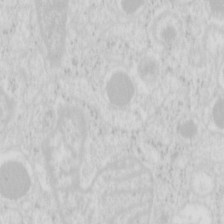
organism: Mouse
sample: Pancreas